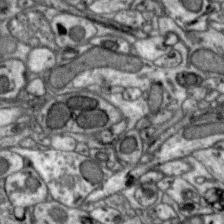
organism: Zebra finch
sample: Brain